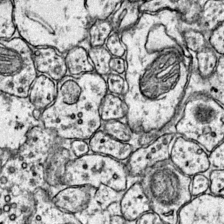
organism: Mouse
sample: Primary visual cortex